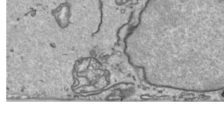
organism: Human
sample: Mitochondria in HCT116 cells